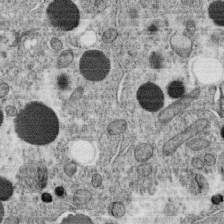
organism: C. elegans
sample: C. elegans oocyte; sperm cells